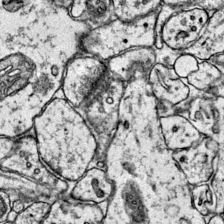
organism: Mouse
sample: Primary visual cortex